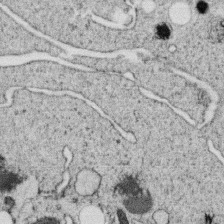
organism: C. elegans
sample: C. elegans oocyte; sperm cells